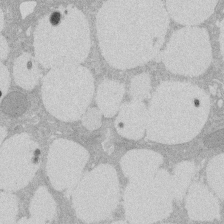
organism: Rat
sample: Salivary granule